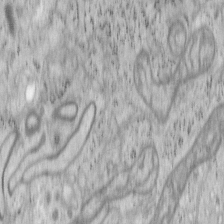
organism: Human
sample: HeLa cells